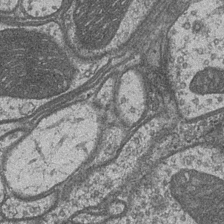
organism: Drosophila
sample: Optic medulla